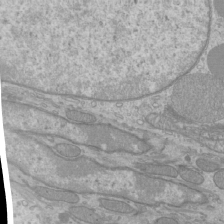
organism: Mouse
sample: Cilia; mouse epididymis